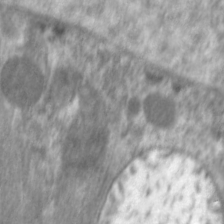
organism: C. elegans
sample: Pharynx